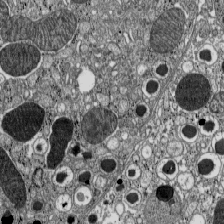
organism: C57BL Mouse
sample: Pancreatic islet